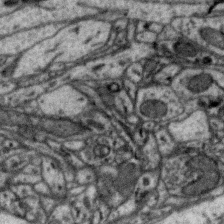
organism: Zebra finch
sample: Brain